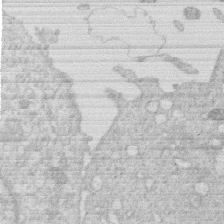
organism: Human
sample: Macrophage cells